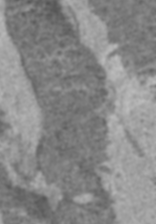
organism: C57BL Mouse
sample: Heart